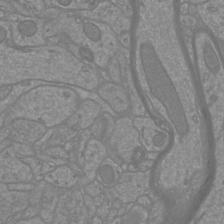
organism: Mouse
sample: Cortical neurons